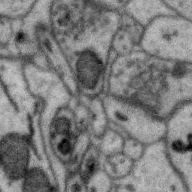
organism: Zebra finch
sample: Brain